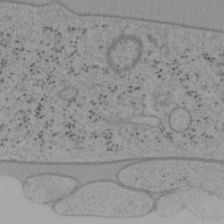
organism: Human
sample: HeLa cells